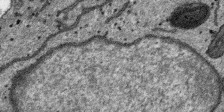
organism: Human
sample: Lung epithelial cells, uninfected (mock) control